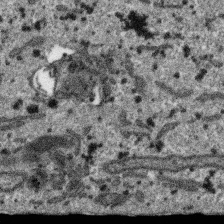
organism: Human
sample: Lung epithelial cells infected with SARS-CoV-2